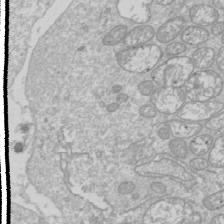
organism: Drosophila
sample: Cell division; meiosis; drosophila spermatocytes